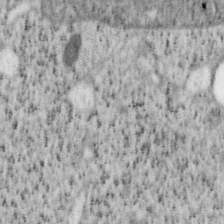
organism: Mouse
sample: OT-I killer T cells with ID8 ovarian cancer cells